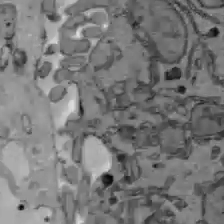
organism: C57BL Mouse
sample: Liver